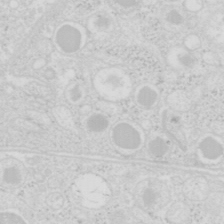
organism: Mouse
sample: Pancreas